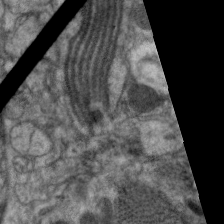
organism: C. elegans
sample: Pharynx